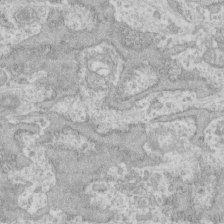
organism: Human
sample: CRL-1474